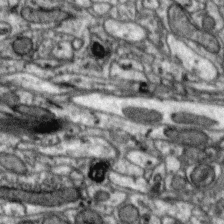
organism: Zebra finch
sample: Brain